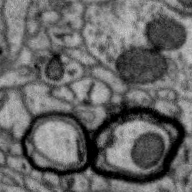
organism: Zebra finch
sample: Brain